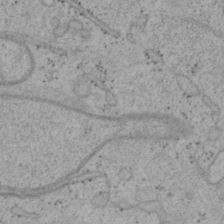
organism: Human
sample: HeLa cells